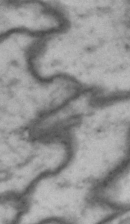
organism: Drosophila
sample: Brain